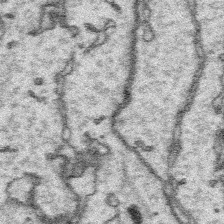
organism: Platynereis dumerilii